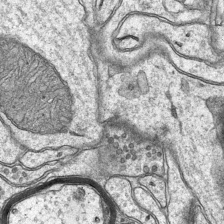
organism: Mouse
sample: CA1 Hippocampus